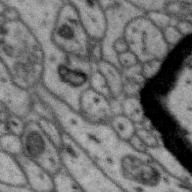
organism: Zebra finch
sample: Brain